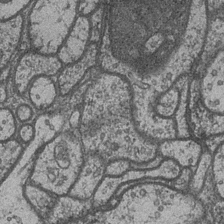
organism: Drosophila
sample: Optic medulla